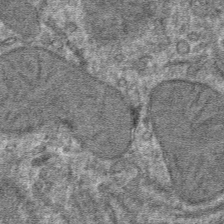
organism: Mouse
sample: Mouse hepatocytes